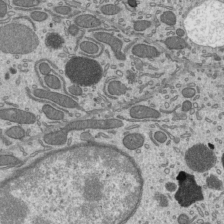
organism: Mouse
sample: Mouse epididymis efferent ductule cilia